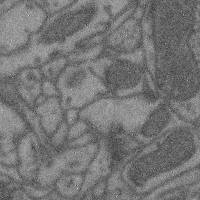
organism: Mouse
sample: Cerebral cortex